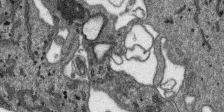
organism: Human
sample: Lung epithelial cells infected with SARS-CoV-2